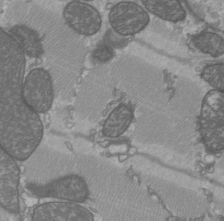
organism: C57BL Mouse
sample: Heart